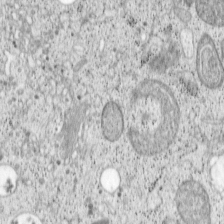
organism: African green monkey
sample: COS-7 cells